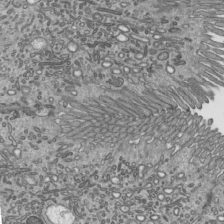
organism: Mouse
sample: Mouse epididymis efferent ductule cilia